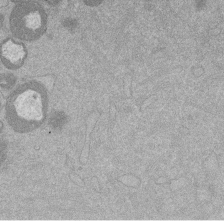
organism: Mouse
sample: Dividing mouse embryo 1 cell stage